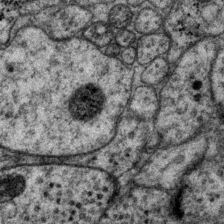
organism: P. pacificus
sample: Pharynx